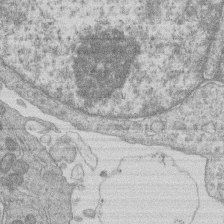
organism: Human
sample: Macrophage cells